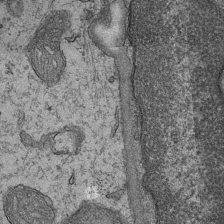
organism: Mouse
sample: CA1 Hippocampus